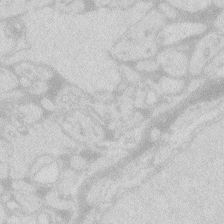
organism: Zebrafish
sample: Macrophage